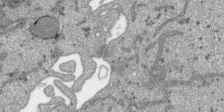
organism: Human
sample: Lung epithelial cells infected with SARS-CoV-2